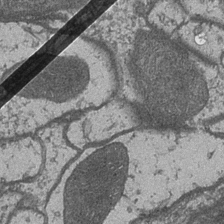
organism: Drosophila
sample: Optic medulla